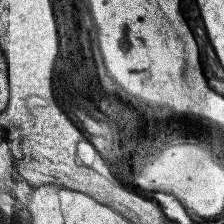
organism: Human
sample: Temporal Lobe